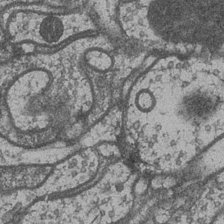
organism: Drosophila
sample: Optic medulla